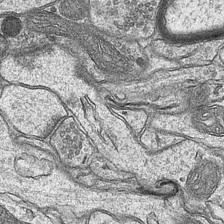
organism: Mouse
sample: CA1 Hippocampus